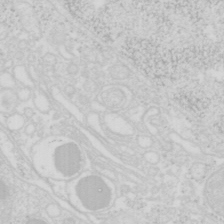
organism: Mouse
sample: Pancreas